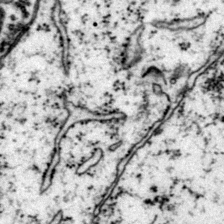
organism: Mouse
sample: Primary visual cortex